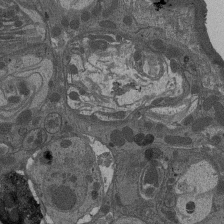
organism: Drosophila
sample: Antenna